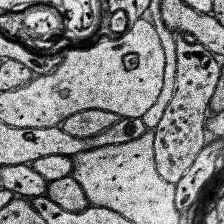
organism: Human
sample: Temporal Lobe